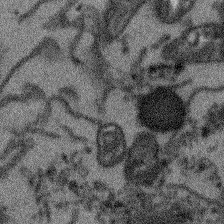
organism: Arabidopsis thaliana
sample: Root tip